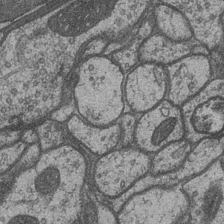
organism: Drosophila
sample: Optic medulla